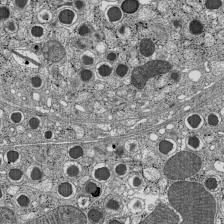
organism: C57BL Mouse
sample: Pancreatic islet